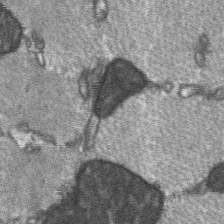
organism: C57BL Mouse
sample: Soleus